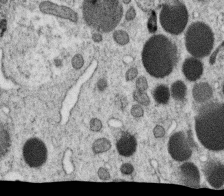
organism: C. elegans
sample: C. elegans oocyte; sperm cells